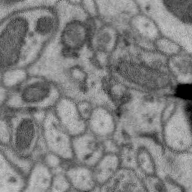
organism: Zebra finch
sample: Brain